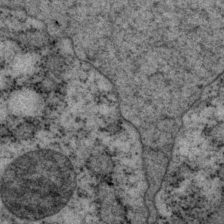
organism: P. pacificus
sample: Pharynx